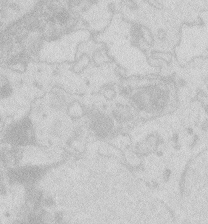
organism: Zebrafish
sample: Macrophage